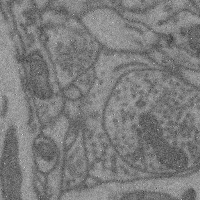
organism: Mouse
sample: Cerebral cortex